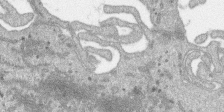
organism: Human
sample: Lung epithelial cells infected with SARS-CoV-2